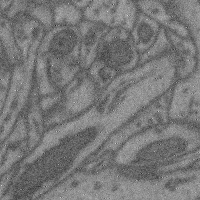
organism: Mouse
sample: Cerebral cortex